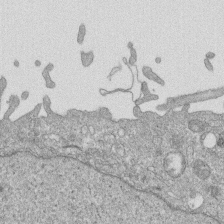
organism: Human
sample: HeLa cell HIV synapse